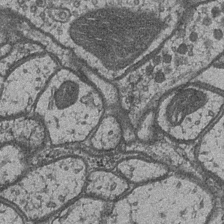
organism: Drosophila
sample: Optic medulla